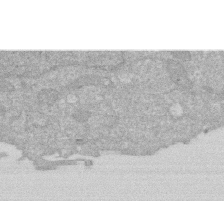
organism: Human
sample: HIV infected U937 cells